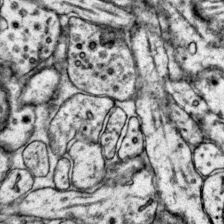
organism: Mouse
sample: Primary visual cortex